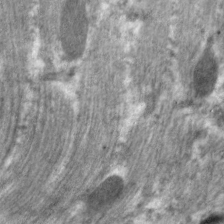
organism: C. elegans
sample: Pharynx